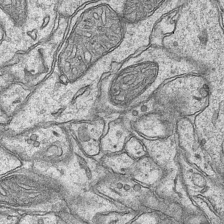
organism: Mouse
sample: CA1 Hippocampus